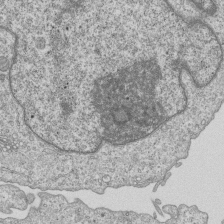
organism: Human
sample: MDA-MB-231 cells